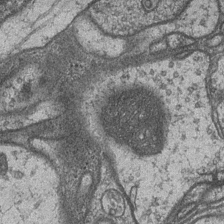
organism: Drosophila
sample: Optic medulla